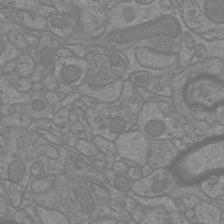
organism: Mouse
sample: Cortical neurons